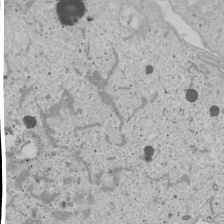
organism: Human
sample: Mitochondria in U2OS cells